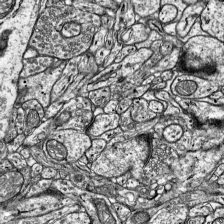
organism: Mouse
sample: Visual Cortex